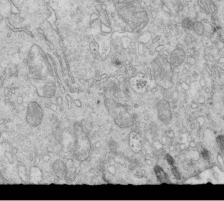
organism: Mouse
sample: Multiciliated cells